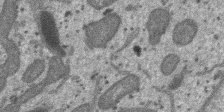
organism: Human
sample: Lung epithelial cells infected with SARS-CoV-2